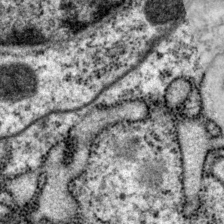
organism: P. pacificus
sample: Pharynx